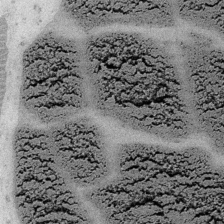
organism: Embia sp.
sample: Silk gland